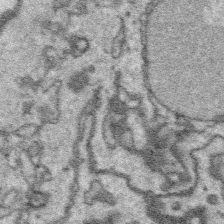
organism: Platynereis dumerilii